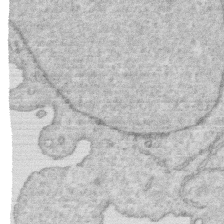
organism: Human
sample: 1205lu cells